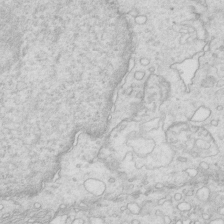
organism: Mouse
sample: Multiciliated cells